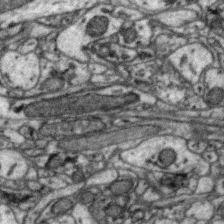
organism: Zebra finch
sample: Brain